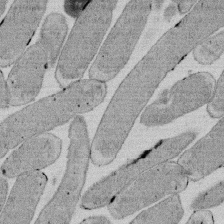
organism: E. coli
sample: Bacterial nucleoid